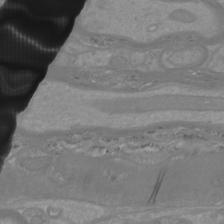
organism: Mouse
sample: Cortical neurons